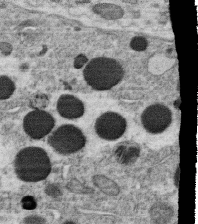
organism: C. elegans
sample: C. elegans oocyte; sperm cells